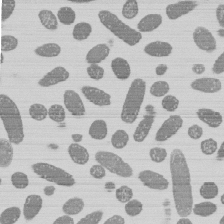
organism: E. coli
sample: Bacterial nucleoid